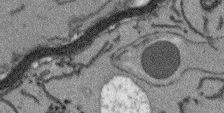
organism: Arabidopsis thaliana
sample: Root tip